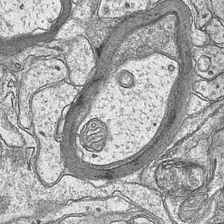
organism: Mouse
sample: CA1 Hippocampus